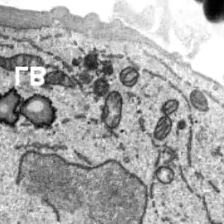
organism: Human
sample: HeLa cells